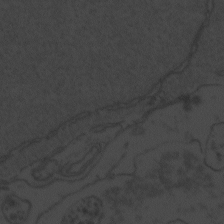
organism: Zebrafish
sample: Macrophage infected with Toxoplasma gondii